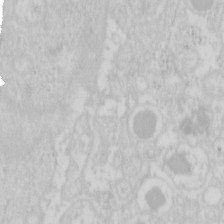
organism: Mouse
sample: Pancreas